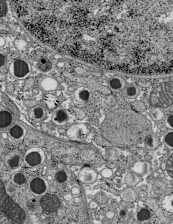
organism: C57BL Mouse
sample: Pancreatic islet